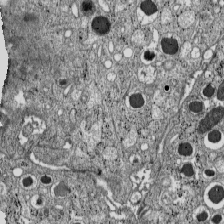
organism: C57BL Mouse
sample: Pancreatic islet